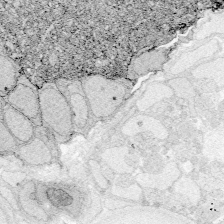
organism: Zebrafish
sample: Whole-Brain